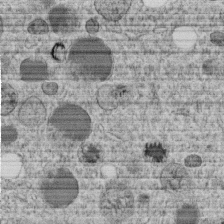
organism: C. elegans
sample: C. elegans embryo early stage